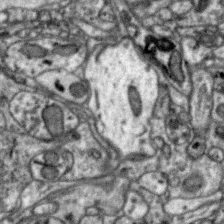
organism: Zebra finch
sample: Brain